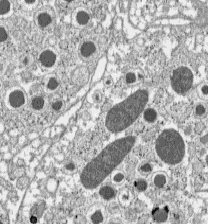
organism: C57BL Mouse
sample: Pancreatic islet